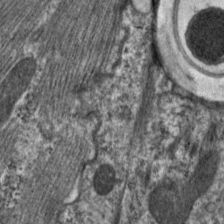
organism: C. elegans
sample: Pharynx